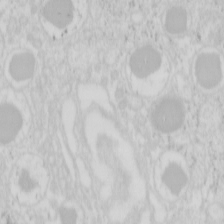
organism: Mouse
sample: Pancreas